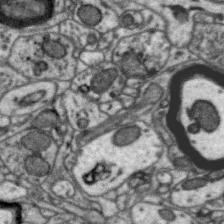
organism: Zebra finch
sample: Brain